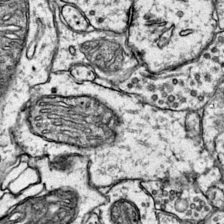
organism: Mouse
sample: Primary visual cortex